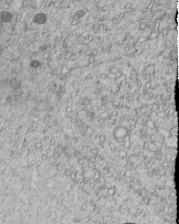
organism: C. elegans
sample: C. elegans embryo early stage